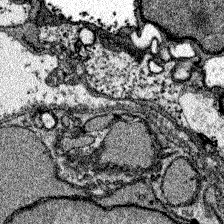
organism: Zebrafish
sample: Larval olfactory bulb